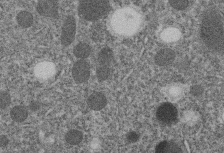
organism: C. elegans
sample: C. elegans embryo early stage